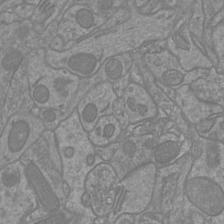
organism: Mouse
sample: Cortical neurons